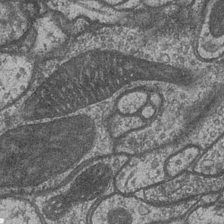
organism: Drosophila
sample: Optic medulla